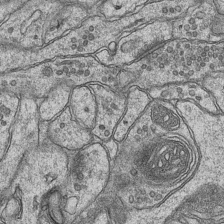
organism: Mouse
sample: CA1 Hippocampus